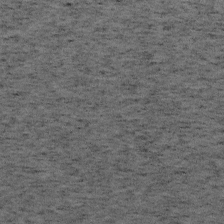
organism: Mouse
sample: OT-I killer T cells with ID8 ovarian cancer cells